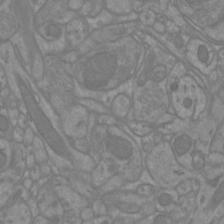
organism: Mouse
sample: Cortical neurons